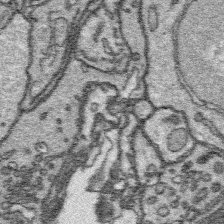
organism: Platynereis dumerilii